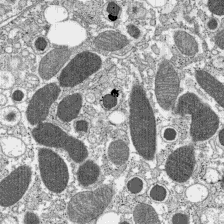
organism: C57BL Mouse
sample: Pancreatic islet